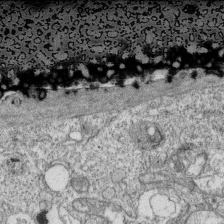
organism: Human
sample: HeLa cell HIV synapse